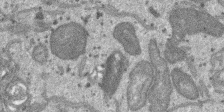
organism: Human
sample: Lung epithelial cells infected with SARS-CoV-2